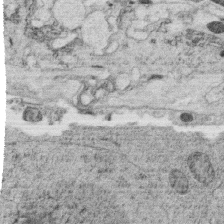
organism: C. elegans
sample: C. elegans oocyte; sperm cells